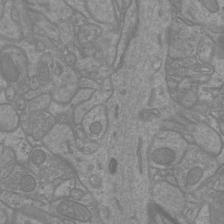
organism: Mouse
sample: Cortical neurons